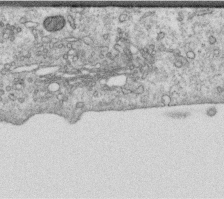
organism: Human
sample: Centriole in RPE cells